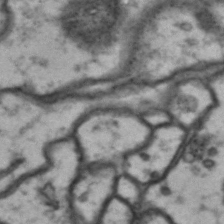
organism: Drosophila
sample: Brain